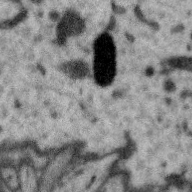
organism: Zebra finch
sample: Brain